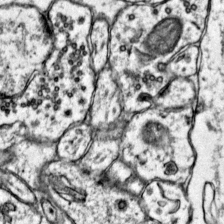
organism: Mouse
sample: Primary visual cortex